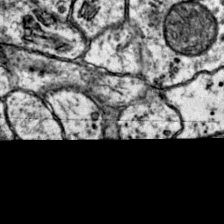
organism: Mouse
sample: Primary visual cortex